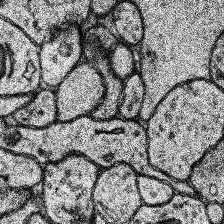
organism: Human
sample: Temporal Lobe